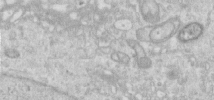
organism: Human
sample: Centriole in RPE cells